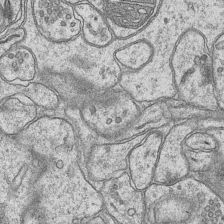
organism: Mouse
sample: CA1 Hippocampus